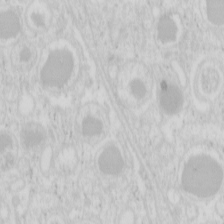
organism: Mouse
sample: Pancreas